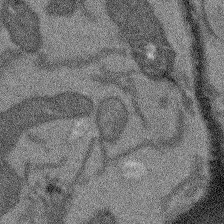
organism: Arabidopsis thaliana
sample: Root tip